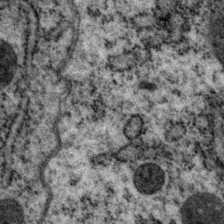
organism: P. pacificus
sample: Pharynx